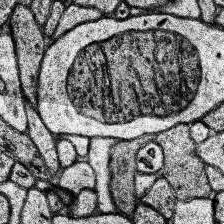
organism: Human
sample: Temporal Lobe